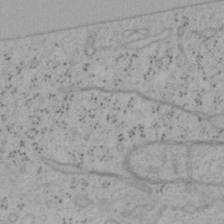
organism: Human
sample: HeLa cells